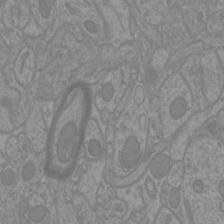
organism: Mouse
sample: Cortical neurons